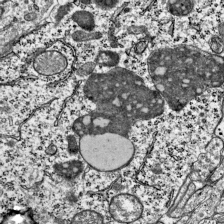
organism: Mouse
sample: Visual Cortex